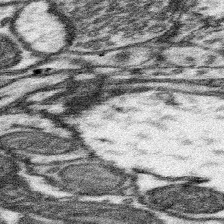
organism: Mouse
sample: Somatosensory cortex neuropil